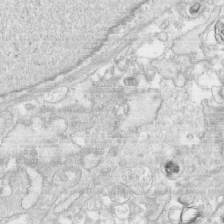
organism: Human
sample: CRL-1474